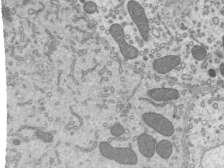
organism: Mouse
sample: Mouse epididymis efferent ductule cilia